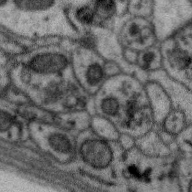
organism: Zebra finch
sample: Brain